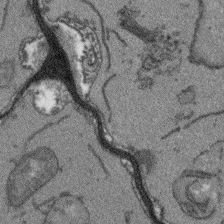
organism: Arabidopsis thaliana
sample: Root tip